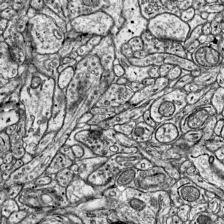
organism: Mouse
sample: Visual Cortex